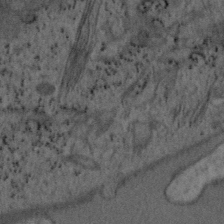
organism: Human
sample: HeLa cells